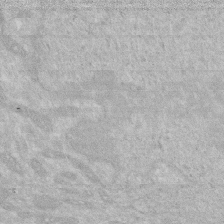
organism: Human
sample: HIV infected U937 cells